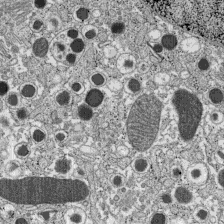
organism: C57BL Mouse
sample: Pancreatic islet